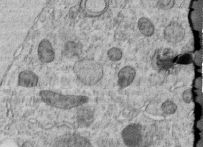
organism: C. elegans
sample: C. elegans embryo early stage